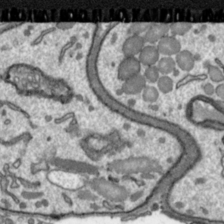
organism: Toxoplasma gondii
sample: Parasites in a vacuole inside a host cell